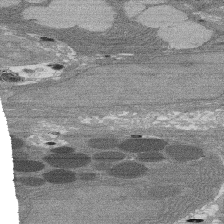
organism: Rat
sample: Salivary granule